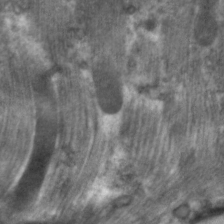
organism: C. elegans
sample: Pharynx